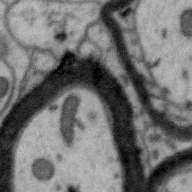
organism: Zebra finch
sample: Brain